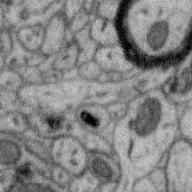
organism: Zebra finch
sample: Brain